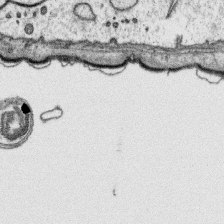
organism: Platynereis dumerilii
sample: Parapodia